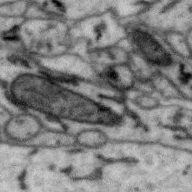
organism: Zebra finch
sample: Brain